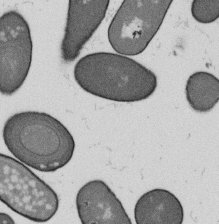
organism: B. subtilis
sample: Bacterial spore